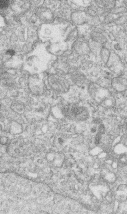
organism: Human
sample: HeLa cell HIV synapse